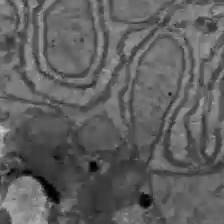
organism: C57BL Mouse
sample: Liver